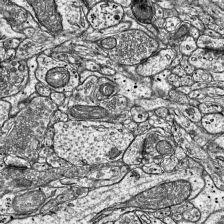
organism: Mouse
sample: Visual Cortex